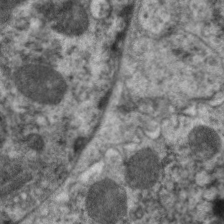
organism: C. elegans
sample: Pharynx